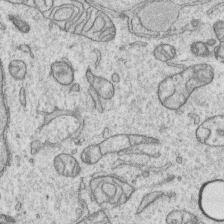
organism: Human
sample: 1205lu cells